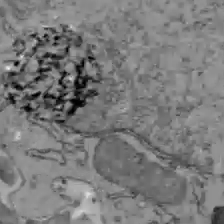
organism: C57BL Mouse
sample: Liver